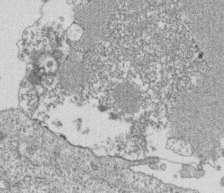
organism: Human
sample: HeLa cell HIV synapse